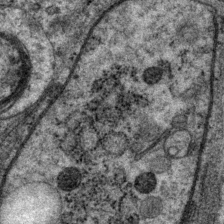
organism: P. pacificus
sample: Pharynx